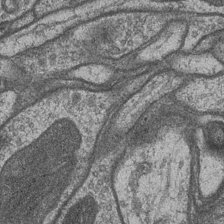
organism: Drosophila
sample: Optic medulla